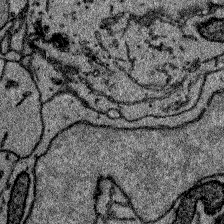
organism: Zebrafish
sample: Larval olfactory bulb